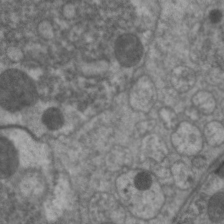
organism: C. elegans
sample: Pharynx